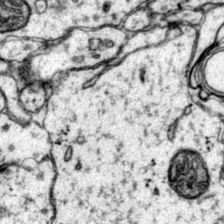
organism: Mouse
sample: Primary visual cortex